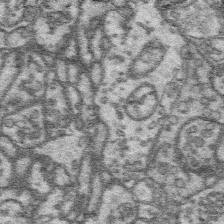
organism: Platynereis dumerilii